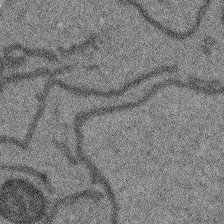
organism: Arabidopsis thaliana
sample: Root tip